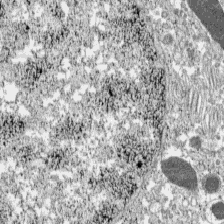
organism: C57BL Mouse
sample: Pancreatic islet